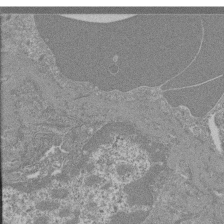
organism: Mouse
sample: Glomerulus